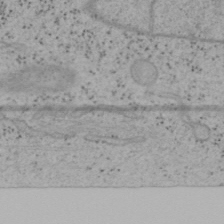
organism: Human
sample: HeLa cells